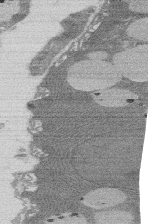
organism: Rat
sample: Salivary granule